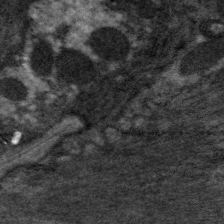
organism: C. elegans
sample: Pharynx